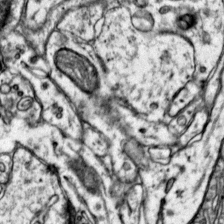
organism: Mouse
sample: Primary visual cortex